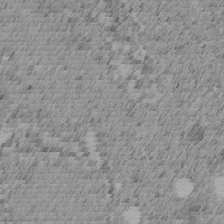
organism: C. elegans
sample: C. elegans embryo early stage